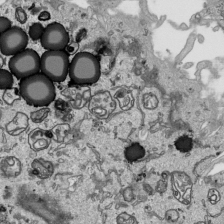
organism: Human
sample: Mitochondria in HCT116 cells